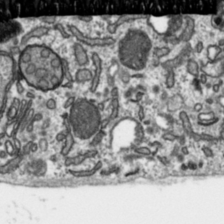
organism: Toxoplasma gondii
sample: Parasites in a vacuole inside a host cell